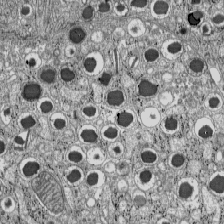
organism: C57BL Mouse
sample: Pancreatic islet